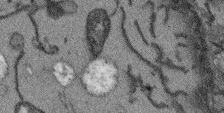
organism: Arabidopsis thaliana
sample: Root tip